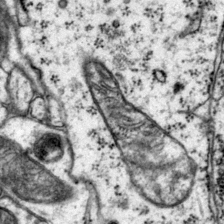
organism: Mouse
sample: Primary visual cortex